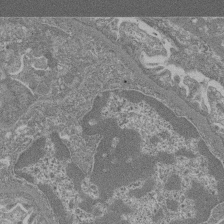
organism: Mouse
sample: Glomerulus